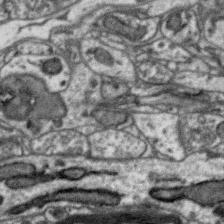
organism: Zebra finch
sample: Brain